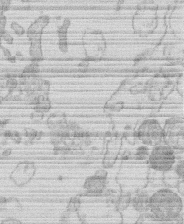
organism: Human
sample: Macrophage cells